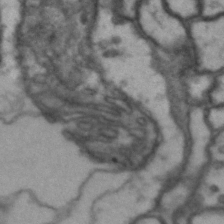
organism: Drosophila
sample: Brain